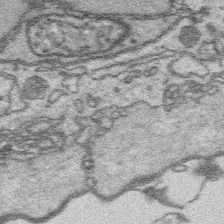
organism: Platynereis dumerilii